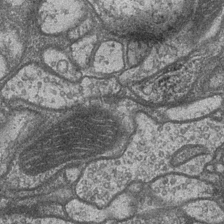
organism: Drosophila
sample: Optic medulla